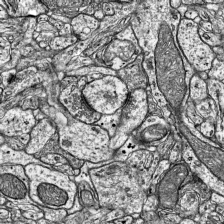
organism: Mouse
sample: Visual Cortex